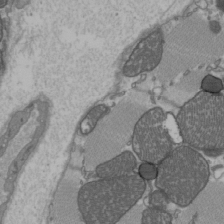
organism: C57BL Mouse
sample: Heart